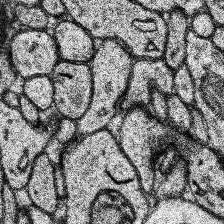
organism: Human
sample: Temporal Lobe